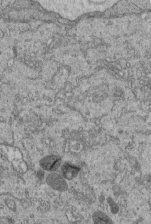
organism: Human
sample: Retinal organoid Rod and Cone cells